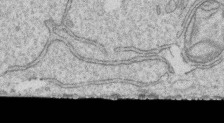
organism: Human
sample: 1205lu cells